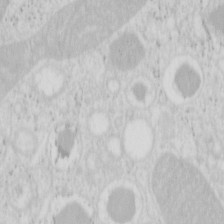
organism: Mouse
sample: Pancreas